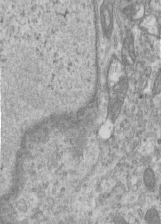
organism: Human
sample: Centriole in RPE cells